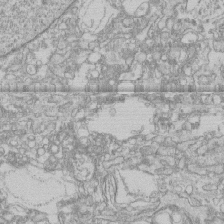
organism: Human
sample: CRL-1474